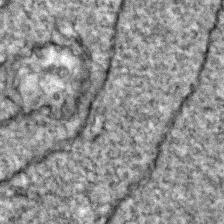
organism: Zebrafish